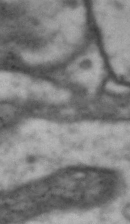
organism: Drosophila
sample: Brain